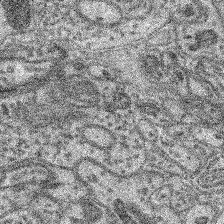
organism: Mouse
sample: Retina